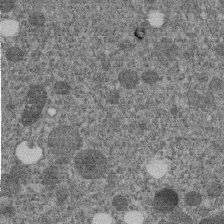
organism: C. elegans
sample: C. elegans embryo early stage